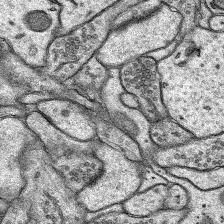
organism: Rat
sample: Hippocampus